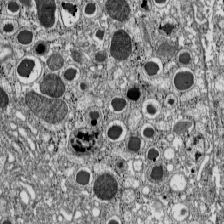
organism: C57BL Mouse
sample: Pancreatic islet